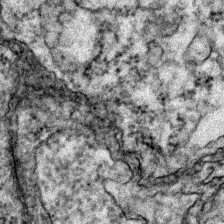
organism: Zebrafish